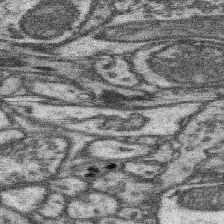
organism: Mouse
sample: Somatosensory cortex neuropil